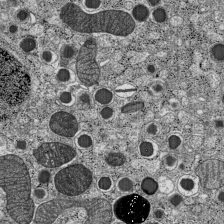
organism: C57BL Mouse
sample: Pancreatic islet